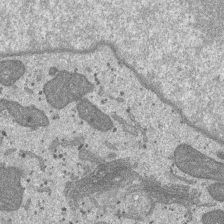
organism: Human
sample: Lung epithelial cells infected with SARS-CoV-2